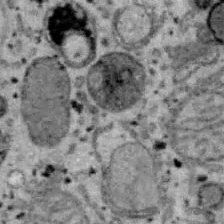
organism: Mouse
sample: Liver from an obese (ob/ob) mouse